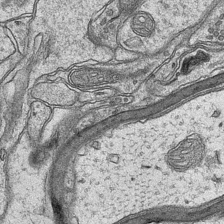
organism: Mouse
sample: CA1 Hippocampus